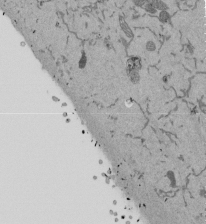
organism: Mouse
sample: ED-1 cell nuclei; centrioles